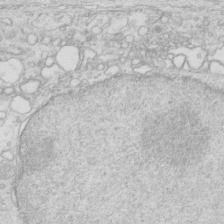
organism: Mouse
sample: Multiciliated cells